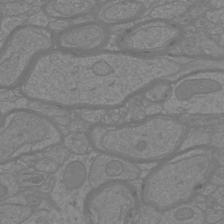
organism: Mouse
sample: Cortical neurons